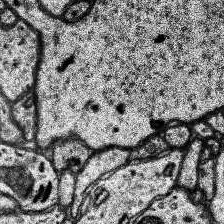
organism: Human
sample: Temporal Lobe